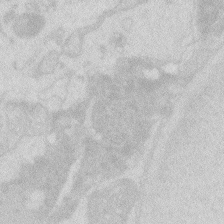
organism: Zebrafish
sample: Macrophage